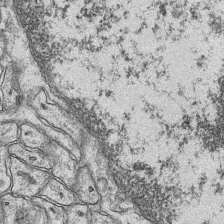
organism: Mouse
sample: CA1 Hippocampus